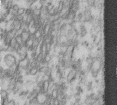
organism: Human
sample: Centriole in fibroblast cells